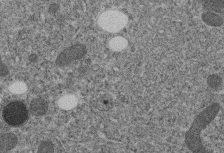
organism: C. elegans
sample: C. elegans embryo early stage